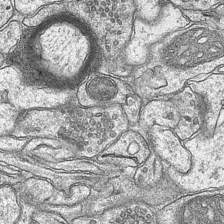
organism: Mouse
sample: CA1 Hippocampus